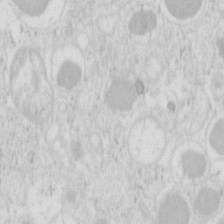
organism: Mouse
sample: Pancreas